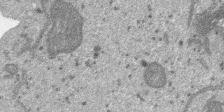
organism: Human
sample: Lung epithelial cells infected with SARS-CoV-2